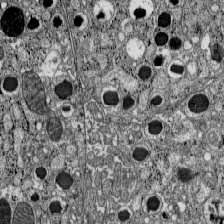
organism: C57BL Mouse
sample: Pancreatic islet